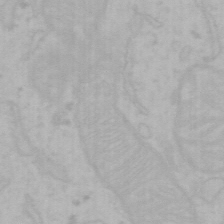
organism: Mouse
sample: Choroid plexus